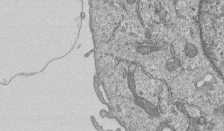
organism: Human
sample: MDA-MB-231 cells